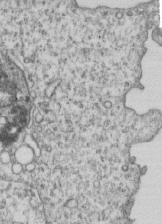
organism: Human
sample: MDA-MB-231 cells